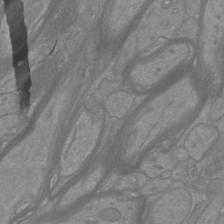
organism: Mouse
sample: Cortical neurons